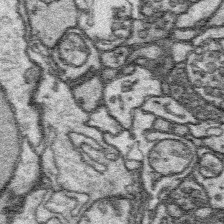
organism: Platynereis dumerilii